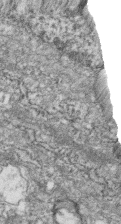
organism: Zebrafish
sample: Cilia; retinal pigment epithelium